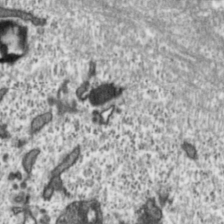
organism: Toxoplasma gondii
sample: Parasites in a vacuole inside a host cell